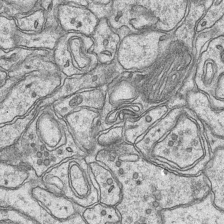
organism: Mouse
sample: CA1 Hippocampus